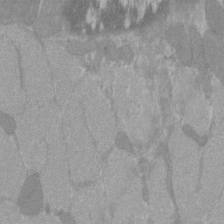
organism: C57BL Mouse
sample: Tibialis anterior muscle cell